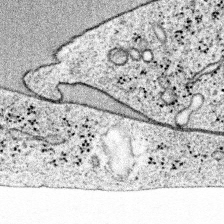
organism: Human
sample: HeLa cells